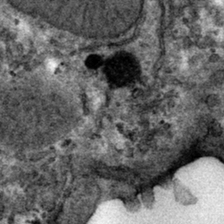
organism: Mouse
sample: Mouse hepatocytes